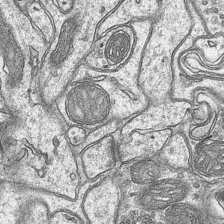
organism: Mouse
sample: CA1 Hippocampus